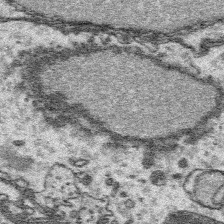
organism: Platynereis dumerilii